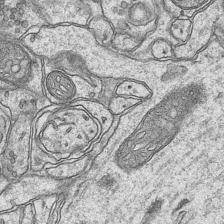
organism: Mouse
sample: CA1 Hippocampus